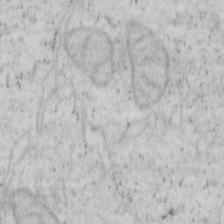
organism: Human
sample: HeLa cells